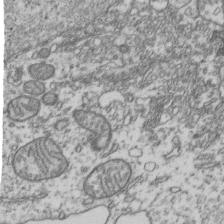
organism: Human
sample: Activated Jurkat CD4+ T cells